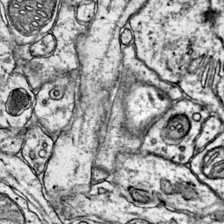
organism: Mouse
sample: Primary visual cortex